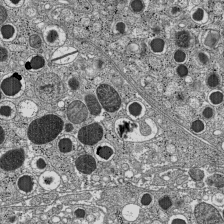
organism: C57BL Mouse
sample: Pancreatic islet